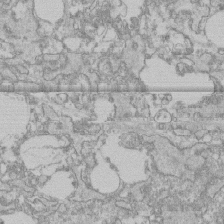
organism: Human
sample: CRL-1474